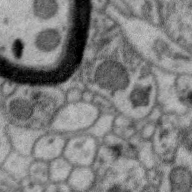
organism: Zebra finch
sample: Brain